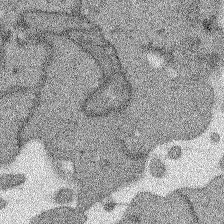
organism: Human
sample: HeLa cells